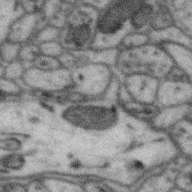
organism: Zebra finch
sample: Brain